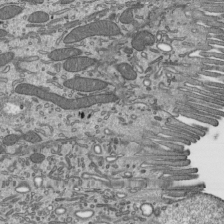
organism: Mouse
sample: Mouse epididymis efferent ductule cilia